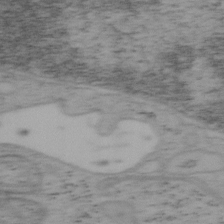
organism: Mouse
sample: OT-I killer T cells with ID8 ovarian cancer cells